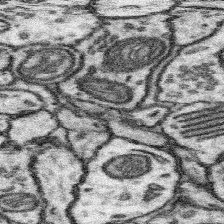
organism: Mouse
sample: Somatosensory cortex neuropil